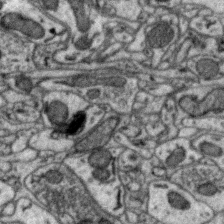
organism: Zebra finch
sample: Brain